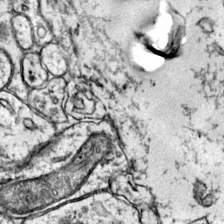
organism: Mouse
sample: Primary visual cortex